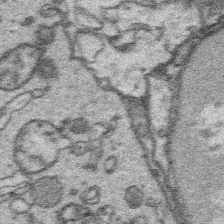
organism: Platynereis dumerilii